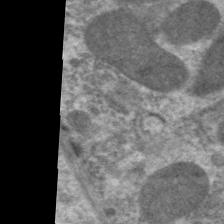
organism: C. elegans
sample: Pharynx